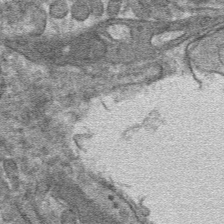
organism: Mouse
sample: Mouse hepatocytes